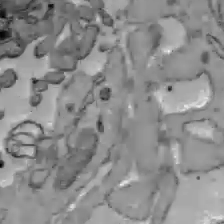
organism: C57BL Mouse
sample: Liver